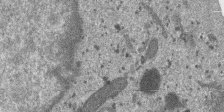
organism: Human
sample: Lung epithelial cells infected with SARS-CoV-2